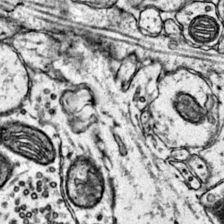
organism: Mouse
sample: Primary visual cortex